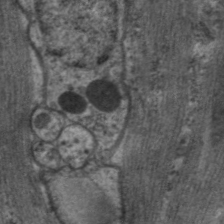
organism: C. elegans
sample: Pharynx